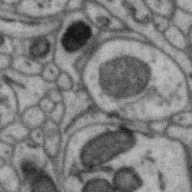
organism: Zebra finch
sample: Brain